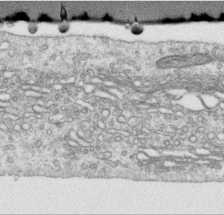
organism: Human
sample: Centriole in RPE cells